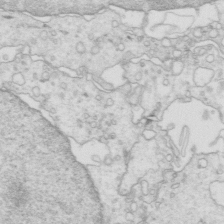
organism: Mouse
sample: Multiciliated cells